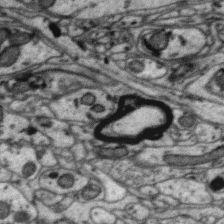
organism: Zebra finch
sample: Brain